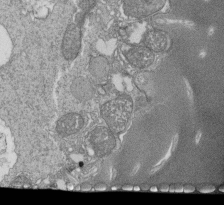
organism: Tetrahymena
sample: Cilia in tetrahymena